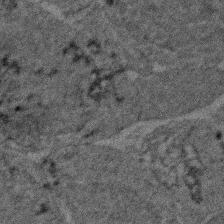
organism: Zebrafish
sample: Zebrafish embryo